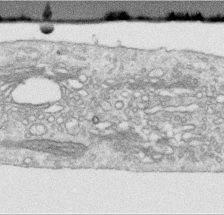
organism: Human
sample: Centriole in RPE cells